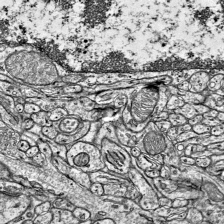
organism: Mouse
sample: Visual Cortex